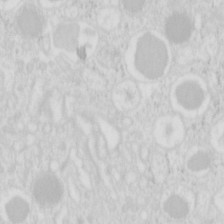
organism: Mouse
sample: Pancreas